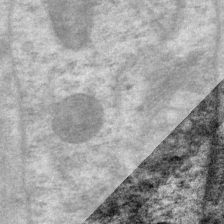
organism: P. pacificus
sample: Pharynx